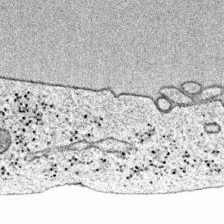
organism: Human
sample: HeLa cells